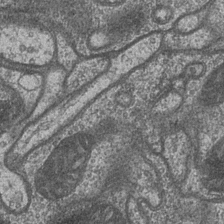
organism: Drosophila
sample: Optic medulla